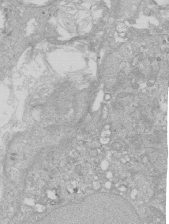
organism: Human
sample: Caco-2 cells